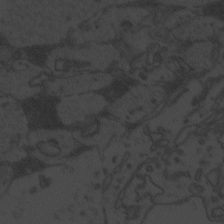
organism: Zebrafish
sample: Macrophage infected with Toxoplasma gondii